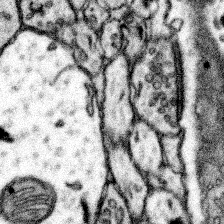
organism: Mouse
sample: Somatosensory cortex neuropil